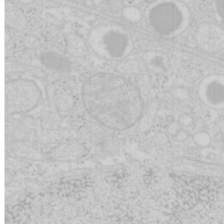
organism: Mouse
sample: Pancreas